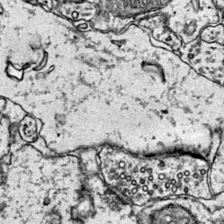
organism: Mouse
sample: Primary visual cortex